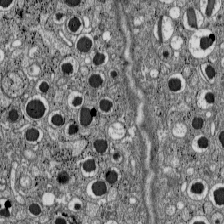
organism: C57BL Mouse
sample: Pancreatic islet